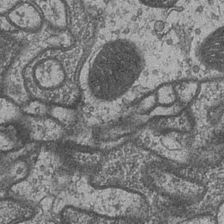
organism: Drosophila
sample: Optic medulla